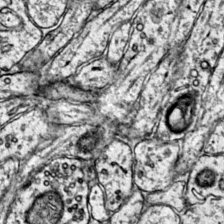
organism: Mouse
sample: Primary visual cortex